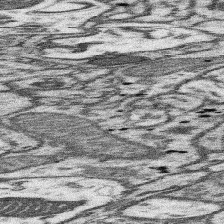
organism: Mouse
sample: Somatosensory cortex neuropil